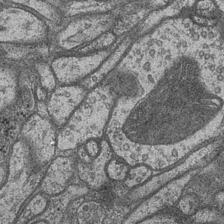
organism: Drosophila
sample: Optic medulla